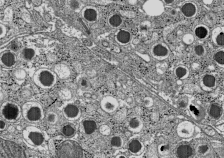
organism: C57BL Mouse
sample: Pancreatic islet